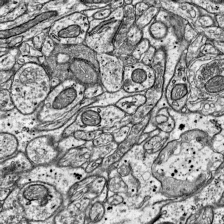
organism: Mouse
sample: Visual Cortex